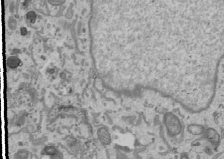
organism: Human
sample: Mitochondria in U2OS cells